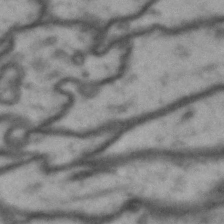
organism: Drosophila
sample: Brain